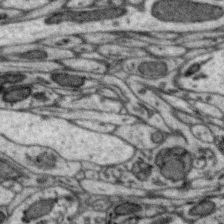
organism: Zebra finch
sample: Brain